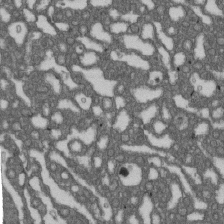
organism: Drosophila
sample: Nephrocyte